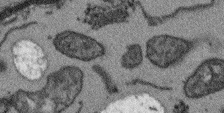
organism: Arabidopsis thaliana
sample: Root tip